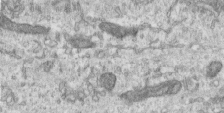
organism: Human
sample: Centriole in RPE cells